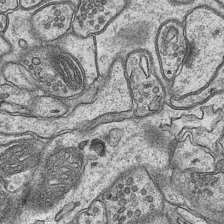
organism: Mouse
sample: CA1 Hippocampus